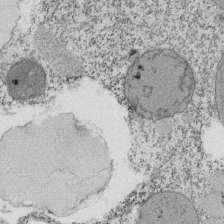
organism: Tetrahymena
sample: Cilia in tetrahymena